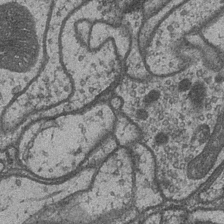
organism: Drosophila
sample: Optic medulla